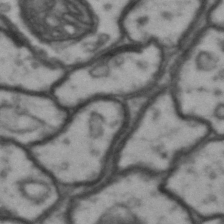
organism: Drosophila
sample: Brain